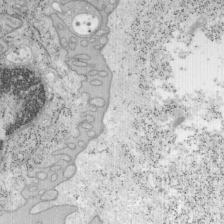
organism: Mouse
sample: OT-I killer T cells with ID8 ovarian cancer cells